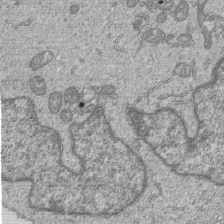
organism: Human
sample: MDA-MB-231 cells